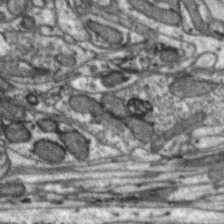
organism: Zebra finch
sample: Brain